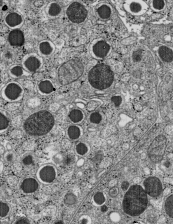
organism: C57BL Mouse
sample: Pancreatic islet